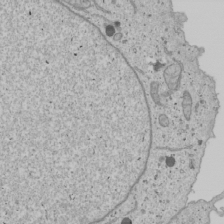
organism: Human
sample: Mitochondria in U2OS cells